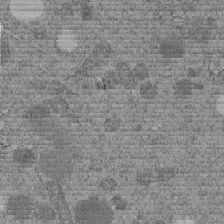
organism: C. elegans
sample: C. elegans embryo early stage